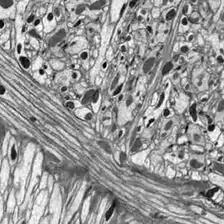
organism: Drosophila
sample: Optic lobe